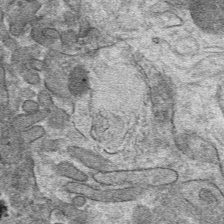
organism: Mouse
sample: Mouse hepatocytes